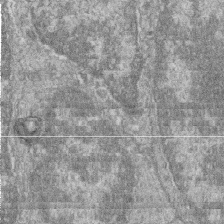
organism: Zebrafish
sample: Cilia; retinal pigment epithelium